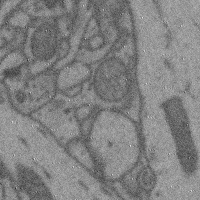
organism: Mouse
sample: Cerebral cortex